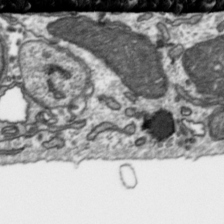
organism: Toxoplasma gondii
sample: Parasites in a vacuole inside a host cell